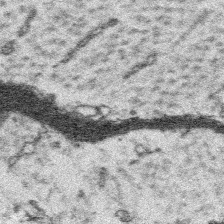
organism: Platynereis dumerilii